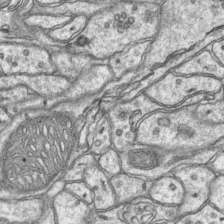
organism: Mouse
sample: CA1 Hippocampus